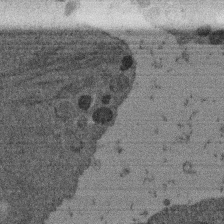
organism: Mouse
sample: Dividing mouse embryo 1 cell stage